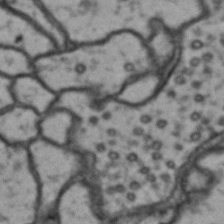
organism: Drosophila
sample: Brain